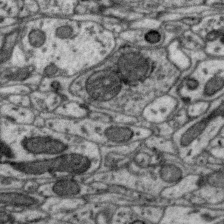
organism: Zebra finch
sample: Brain